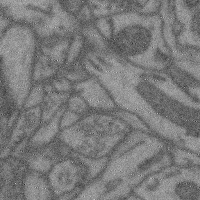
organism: Mouse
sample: Cerebral cortex